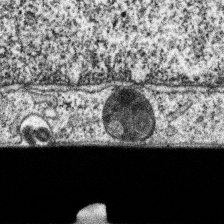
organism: Human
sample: HeLa cells